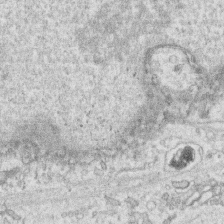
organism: Human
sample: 1205lu cells